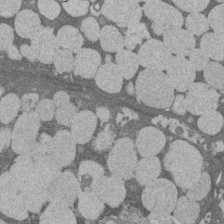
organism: Rat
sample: Salivary granule